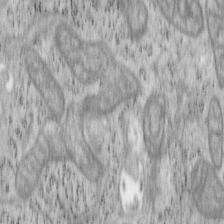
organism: Human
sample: HeLa cells